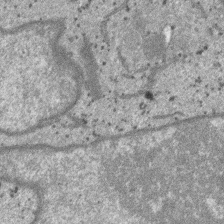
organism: Human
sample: Lung epithelial cells infected with SARS-CoV-2